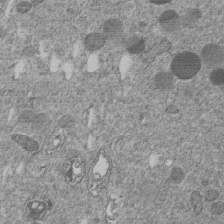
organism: C. elegans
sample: C. elegans embryo early stage